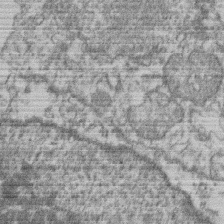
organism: Mouse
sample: T cell stromal cell synapse